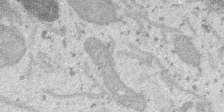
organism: Human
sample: Lung epithelial cells infected with SARS-CoV-2